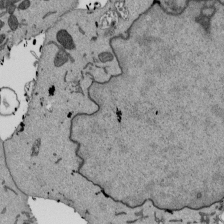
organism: Mouse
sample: ED-1 cell nuclei; centrioles